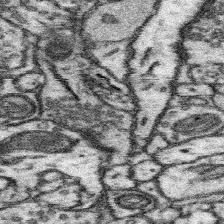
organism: Mouse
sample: Somatosensory cortex neuropil